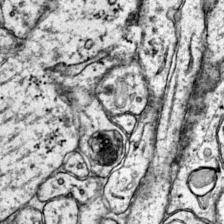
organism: Mouse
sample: Primary visual cortex